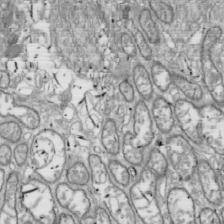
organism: Drosophila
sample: Cell division; meiosis; drosophila spermatocytes